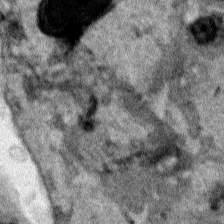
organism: Human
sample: Mitochondria in HCT116 cells